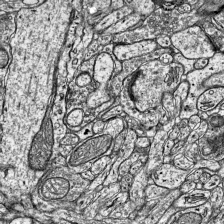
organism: Mouse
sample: Visual Cortex